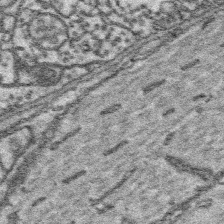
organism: Platynereis dumerilii